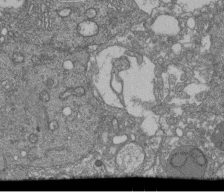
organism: Human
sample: Retinal organoid Rod and Cone cells